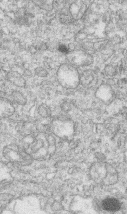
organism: Human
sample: HeLa cell HIV synapse